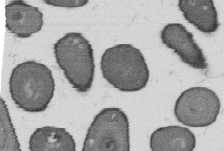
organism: B. subtilis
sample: Bacterial spore